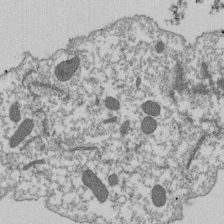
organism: Dictyostelium discoideum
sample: Dictyostelium multivesicular bodies